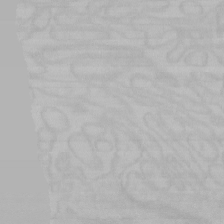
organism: Mouse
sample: Choroid plexus